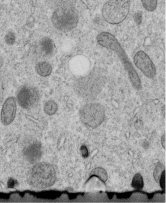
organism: C. elegans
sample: C. elegans embryo early stage